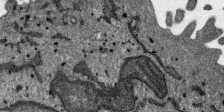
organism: Human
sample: Lung epithelial cells, uninfected (mock) control